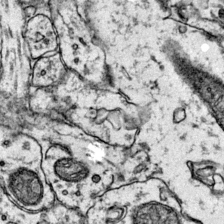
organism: Mouse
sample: Primary visual cortex